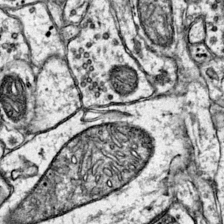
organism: Mouse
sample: Primary visual cortex